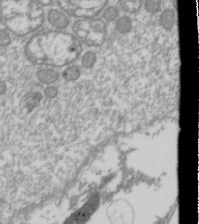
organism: Drosophila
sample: Cell division; meiosis; drosophila spermatocytes